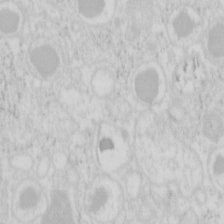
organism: Mouse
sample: Pancreas